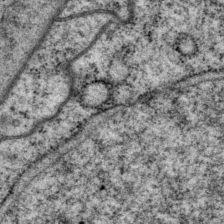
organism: P. pacificus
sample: Pharynx